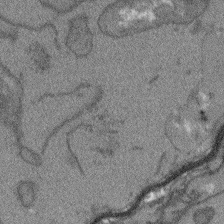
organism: Arabidopsis thaliana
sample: Root tip